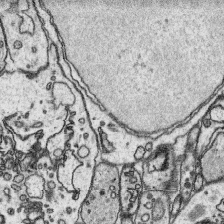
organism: Platynereis dumerilii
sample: Parapodia